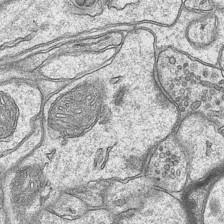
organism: Mouse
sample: CA1 Hippocampus